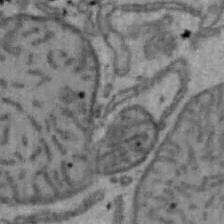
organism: Mouse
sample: Liver